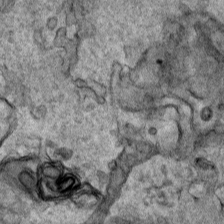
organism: Human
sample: Mitochondria in HCT116 cells